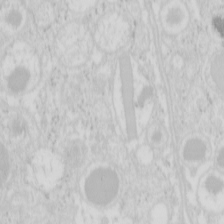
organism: Mouse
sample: Pancreas